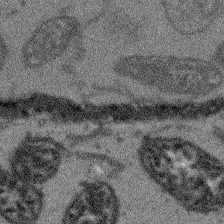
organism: Arabidopsis thaliana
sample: Root tip